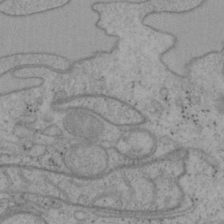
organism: Human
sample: HeLa cells